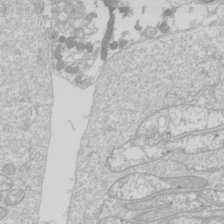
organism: Drosophila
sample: Cell division; meiosis; drosophila spermatocytes